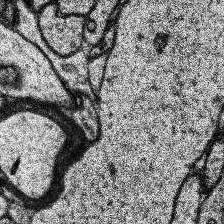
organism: Human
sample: Temporal Lobe